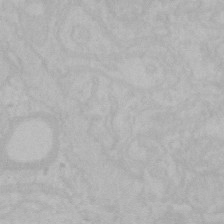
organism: Mouse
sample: Choroid plexus